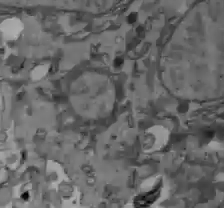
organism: C57BL Mouse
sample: Liver